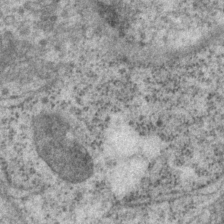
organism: P. pacificus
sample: Pharynx